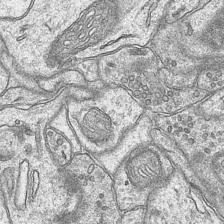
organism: Mouse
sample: CA1 Hippocampus